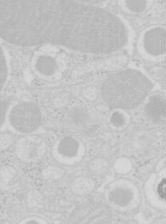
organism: Mouse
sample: Pancreas